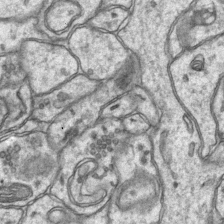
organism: Mouse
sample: CA1 Hippocampus